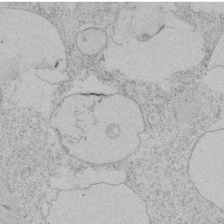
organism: Tetrahymena